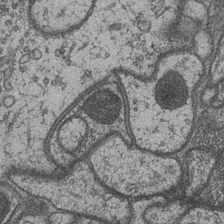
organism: Drosophila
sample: Optic medulla